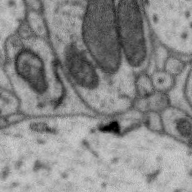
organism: Zebra finch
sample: Brain